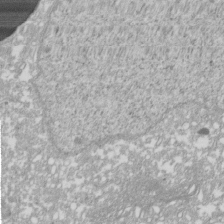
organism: Xenopus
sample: Cilia; centrioles in frog embryo cells